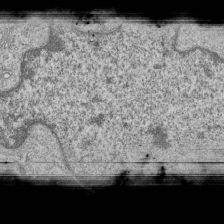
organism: Human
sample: MDA-MB-231 cells